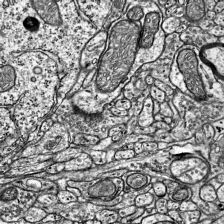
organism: Mouse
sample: Visual Cortex